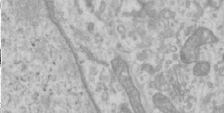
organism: Human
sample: Cilia; basal body in RPE cells